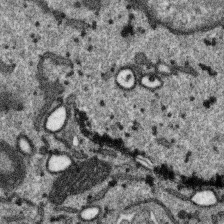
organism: Human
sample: Lung epithelial cells infected with SARS-CoV-2